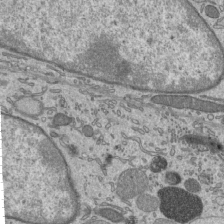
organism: Mouse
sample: Mouse epididymis efferent ductule cilia